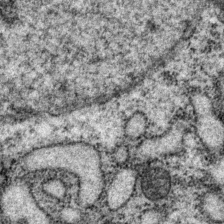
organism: P. pacificus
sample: Pharynx